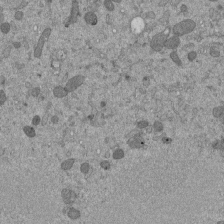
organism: Mouse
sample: ED-1 cell nuclei; centrioles